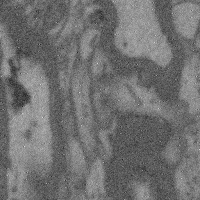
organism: Mouse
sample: Cerebral cortex